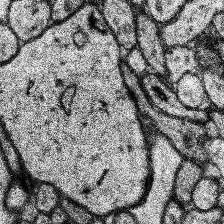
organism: Human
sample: Temporal Lobe